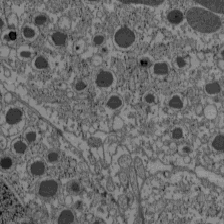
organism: C57BL Mouse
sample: Pancreatic islet